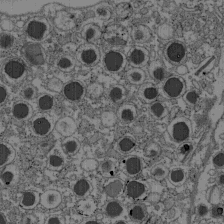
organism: C57BL Mouse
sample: Pancreatic islet